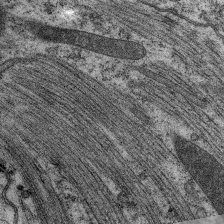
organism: C. elegans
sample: Pharynx